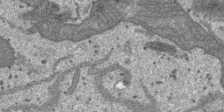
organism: Human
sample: Lung epithelial cells infected with SARS-CoV-2